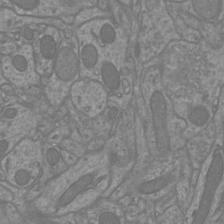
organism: Mouse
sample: Cortical neurons